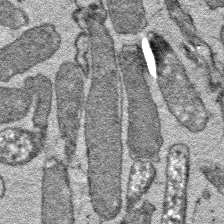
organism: E. coli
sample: E. Coli Bacteria